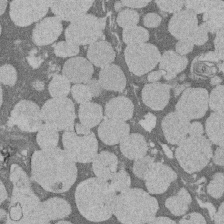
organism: Rat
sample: Salivary granule